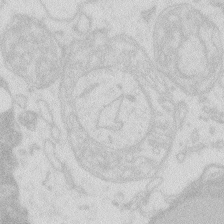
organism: Zebrafish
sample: Macrophage